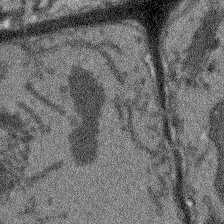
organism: Arabidopsis thaliana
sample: Root tip